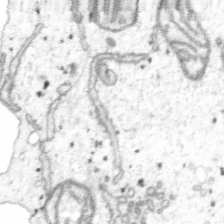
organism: Human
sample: HeLa cells